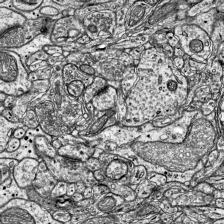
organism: Mouse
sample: Visual Cortex